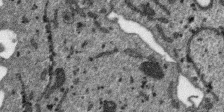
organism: Human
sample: Lung epithelial cells infected with SARS-CoV-2